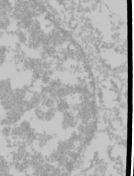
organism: Mouse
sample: Cancer cell death in ED-1 cells